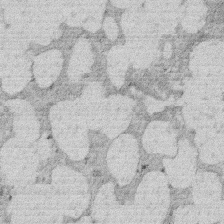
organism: Rat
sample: Salivary granule